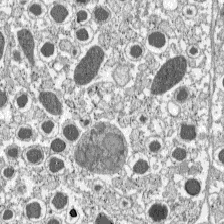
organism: C57BL Mouse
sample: Pancreatic islet